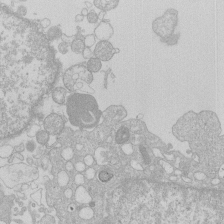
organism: Human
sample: Macrophage cells